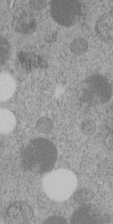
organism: C. elegans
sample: C. elegans embryo early stage